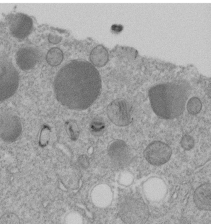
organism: C. elegans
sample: C. elegans embryo early stage